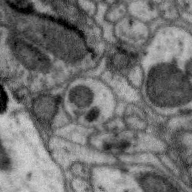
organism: Zebra finch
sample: Brain